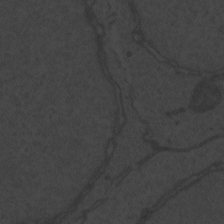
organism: Zebrafish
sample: Macrophage infected with Toxoplasma gondii